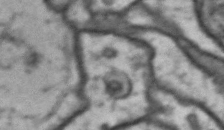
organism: Drosophila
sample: Brain